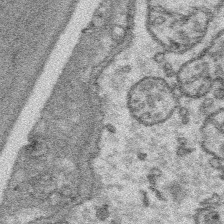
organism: Platynereis dumerilii